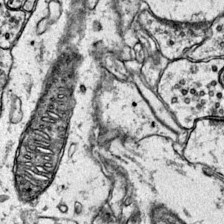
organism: Mouse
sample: Primary visual cortex